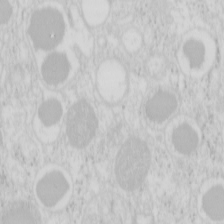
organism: Mouse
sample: Pancreas